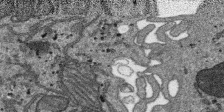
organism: Human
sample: Lung epithelial cells infected with SARS-CoV-2